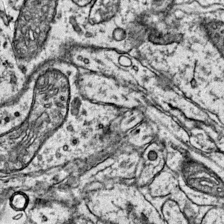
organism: Mouse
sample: Primary visual cortex